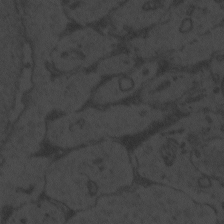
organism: Zebrafish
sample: Macrophage infected with Toxoplasma gondii